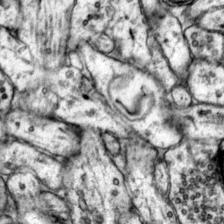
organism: Mouse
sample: Primary visual cortex